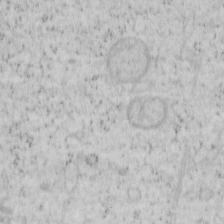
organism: Human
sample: HeLa cells